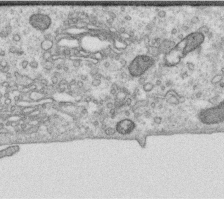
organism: Human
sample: Centriole in RPE cells